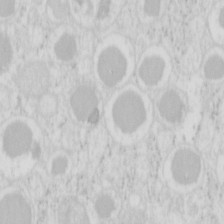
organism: Mouse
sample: Pancreas